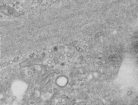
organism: Human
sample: Centriole in RPE cells